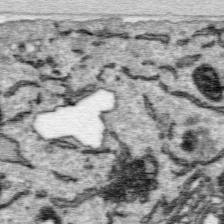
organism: Human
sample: HeLa cells